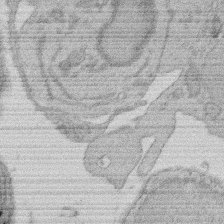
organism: Rat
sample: Salivary granule